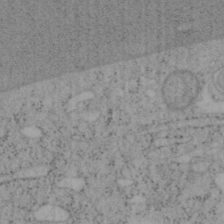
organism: Mouse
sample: OT-I killer T cells with ID8 ovarian cancer cells